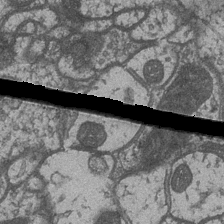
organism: Drosophila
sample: Optic medulla